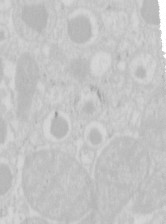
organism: Mouse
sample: Pancreas